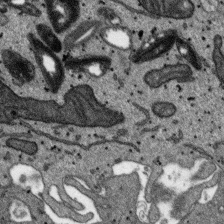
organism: Human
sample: Lung epithelial cells, uninfected (mock) control